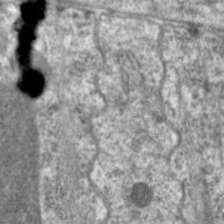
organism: C. elegans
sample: Pharynx